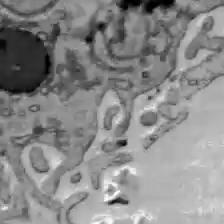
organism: C57BL Mouse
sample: Liver